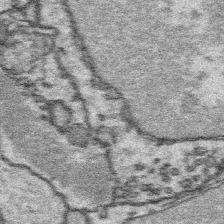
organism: Platynereis dumerilii